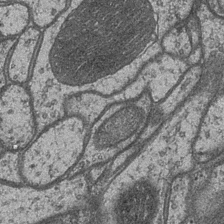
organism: Drosophila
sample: Optic medulla